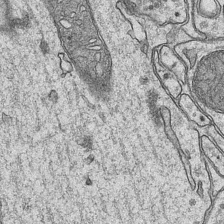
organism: Mouse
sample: CA1 Hippocampus